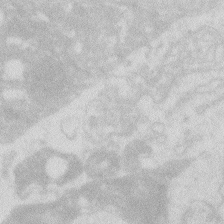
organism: Zebrafish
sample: Macrophage